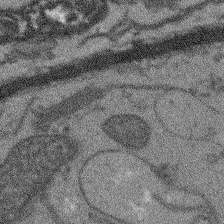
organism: Arabidopsis thaliana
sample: Root tip